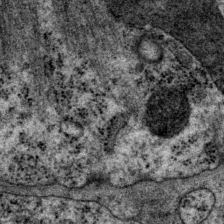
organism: P. pacificus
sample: Pharynx